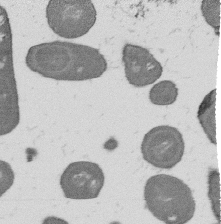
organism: B. subtilis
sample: Bacterial spore